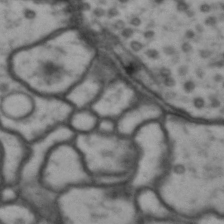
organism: Drosophila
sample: Brain